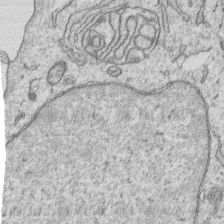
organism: Human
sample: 1205lu cells